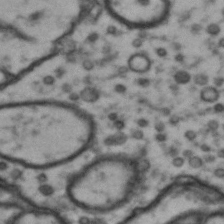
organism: Drosophila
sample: Brain